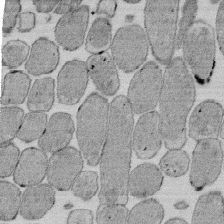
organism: E. coli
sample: Bacterial nucleoid